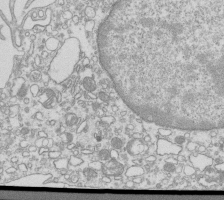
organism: Mouse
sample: Macrophages